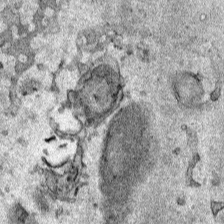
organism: Human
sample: Mitochondria in HCT116 cells